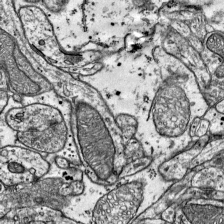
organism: Mouse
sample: Visual Cortex